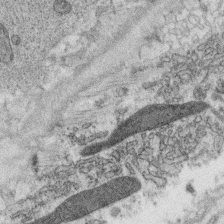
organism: C. elegans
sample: C. elegans oocyte; sperm cells